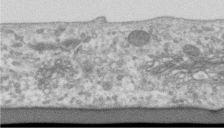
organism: Human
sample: Centriole in RPE cells